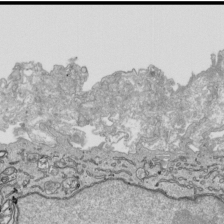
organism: Human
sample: Mitochondria in HCT116 cells